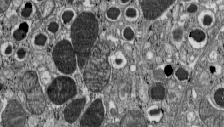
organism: C57BL Mouse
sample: Pancreatic islet